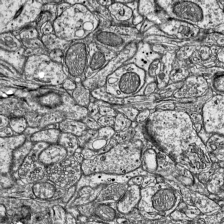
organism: Mouse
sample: Visual Cortex